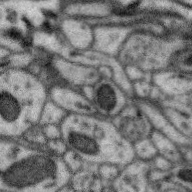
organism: Zebra finch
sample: Brain